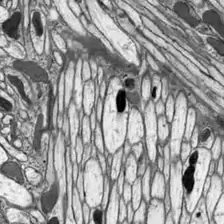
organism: Drosophila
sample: Optic lobe